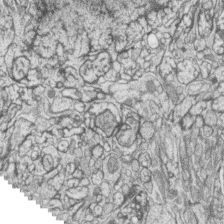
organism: Zebrafish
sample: synaptic ribbons in rod cells and cone cells